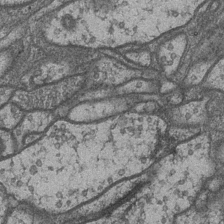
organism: Drosophila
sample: Optic medulla